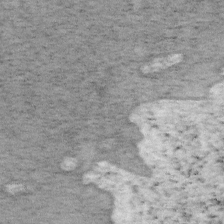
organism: Mouse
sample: OT-I killer T cells with ID8 ovarian cancer cells